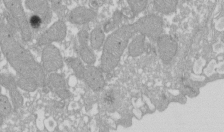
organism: Xenopus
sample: Cilia; centrioles in frog embryo cells